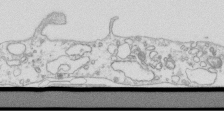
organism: Mouse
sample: Macrophages